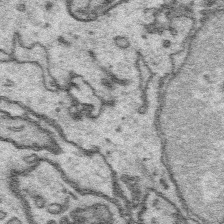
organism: Platynereis dumerilii